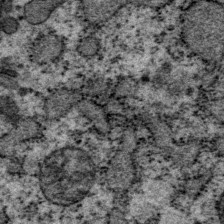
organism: P. pacificus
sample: Pharynx